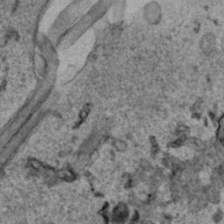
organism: Human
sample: Mitochondria in HCT116 cells